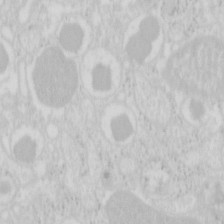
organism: Mouse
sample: Pancreas